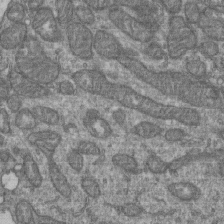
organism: Human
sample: Retinal organoid Rod and Cone cells